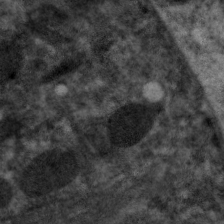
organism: C. elegans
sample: Pharynx